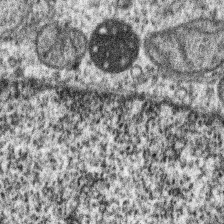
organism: Human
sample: HeLa cells